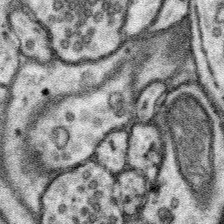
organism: Mouse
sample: Somatosensory cortex neuropil